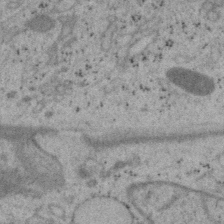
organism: Human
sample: HeLa cells